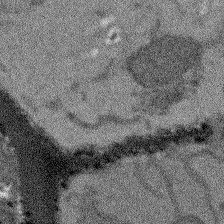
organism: Arabidopsis thaliana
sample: Root tip